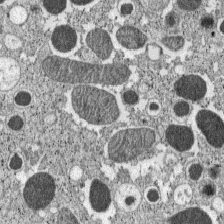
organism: C57BL Mouse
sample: Pancreatic islet